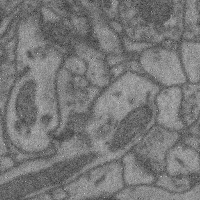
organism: Mouse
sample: Cerebral cortex